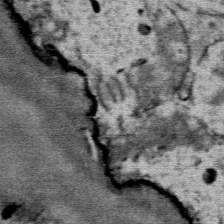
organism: Mouse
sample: Mouse Salivary gland